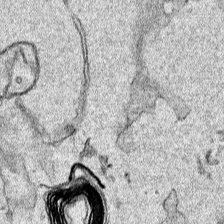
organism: Human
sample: Mitochondria in HCT116 cells